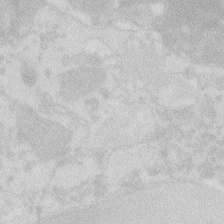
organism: Zebrafish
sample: Macrophage